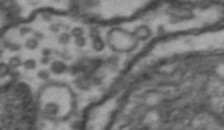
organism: Drosophila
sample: Brain